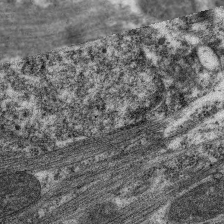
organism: C. elegans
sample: Pharynx